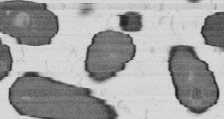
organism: B. subtilis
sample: Bacterial spore